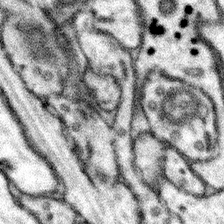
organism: Mouse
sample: Somatosensory cortex neuropil